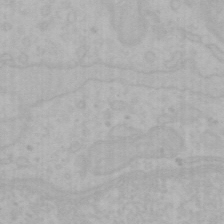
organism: Mouse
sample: Choroid plexus